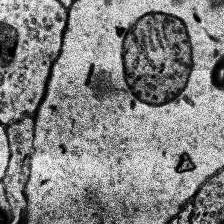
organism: Human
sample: Temporal Lobe